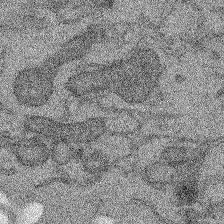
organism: Human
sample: HeLa cells